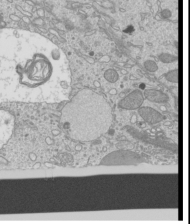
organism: Mouse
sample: Cilia; mouse epididymis